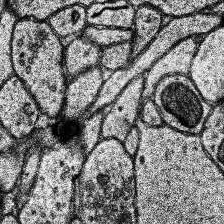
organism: Human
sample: Temporal Lobe